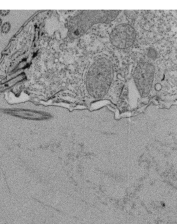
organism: Tetrahymena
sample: Cilia in tetrahymena